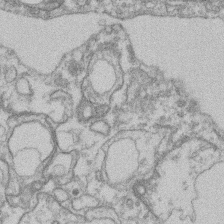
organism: Mouse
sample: T cell stromal cell synapse